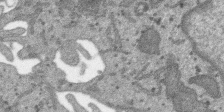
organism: Human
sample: Lung epithelial cells infected with SARS-CoV-2